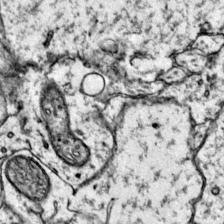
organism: Mouse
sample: Primary visual cortex